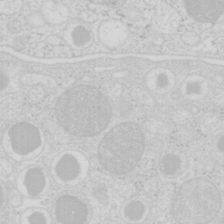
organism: Mouse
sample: Pancreas